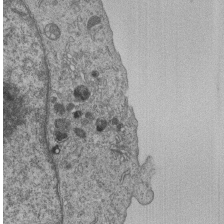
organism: Human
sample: MDA-MB-231 cells